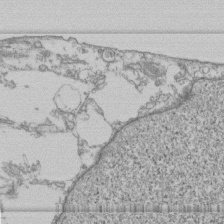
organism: Human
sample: Fibroblast cells